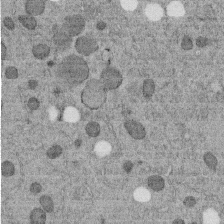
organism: C. elegans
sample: C. elegans embryo early stage